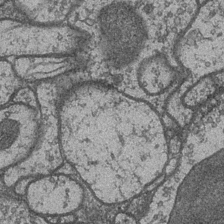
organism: Drosophila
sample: Optic medulla